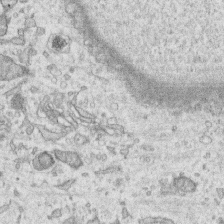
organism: Human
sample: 1205lu cells